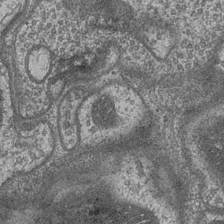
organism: Drosophila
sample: Optic medulla